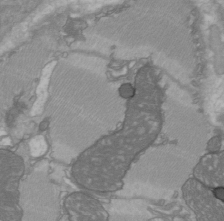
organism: C57BL Mouse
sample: Heart